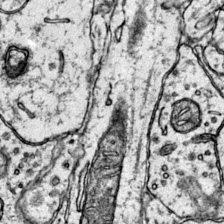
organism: Mouse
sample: Primary visual cortex